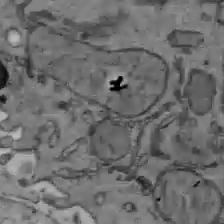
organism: C57BL Mouse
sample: Liver